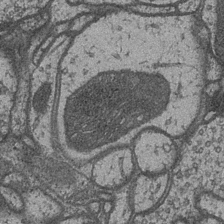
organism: Drosophila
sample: Optic medulla